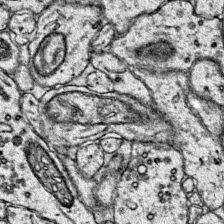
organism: Mouse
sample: Primary visual cortex